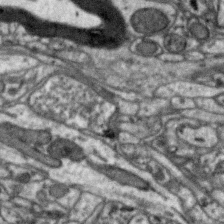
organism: Zebra finch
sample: Brain